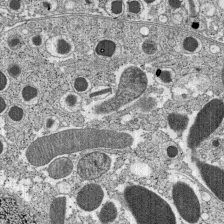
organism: C57BL Mouse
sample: Pancreatic islet